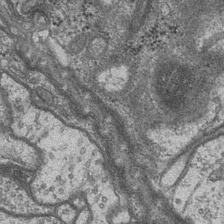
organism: Drosophila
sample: Optic medulla